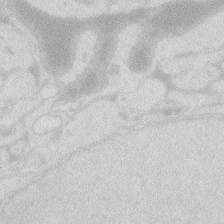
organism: Zebrafish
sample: Macrophage